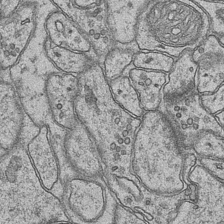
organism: Mouse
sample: CA1 Hippocampus